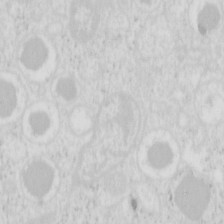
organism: Mouse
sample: Pancreas